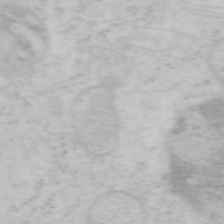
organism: Mouse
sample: OT-I killer T cells with ID8 ovarian cancer cells